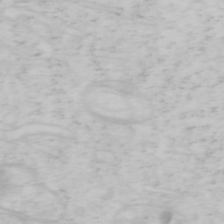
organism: Mouse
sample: OT-I killer T cells with ID8 ovarian cancer cells